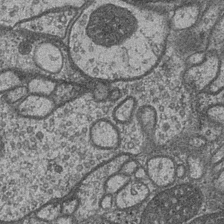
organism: Drosophila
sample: Optic medulla